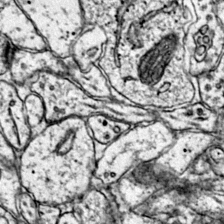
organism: Mouse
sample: Primary visual cortex